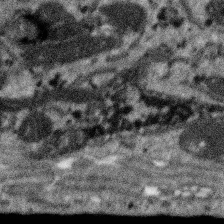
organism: Human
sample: Lung epithelial cells infected with SARS-CoV-2